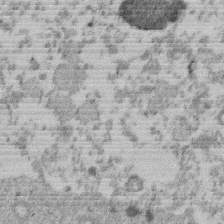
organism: Mouse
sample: Dividing mouse embryo 1 cell stage